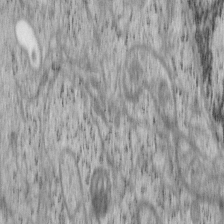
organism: Human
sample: HeLa cells